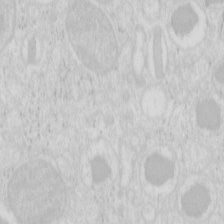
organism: Mouse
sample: Pancreas